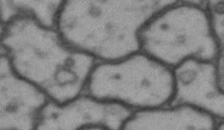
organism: Drosophila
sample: Brain